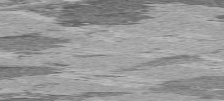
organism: C57BL Mouse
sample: Heart